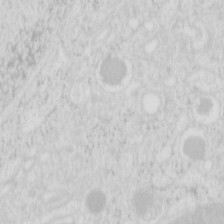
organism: Mouse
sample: Pancreas